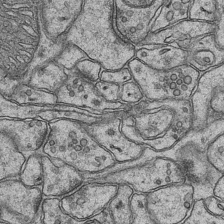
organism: Mouse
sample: CA1 Hippocampus